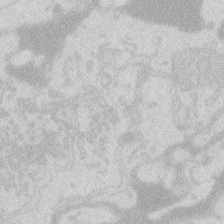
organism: Zebrafish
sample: Macrophage